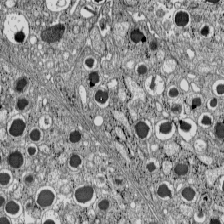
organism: C57BL Mouse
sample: Pancreatic islet